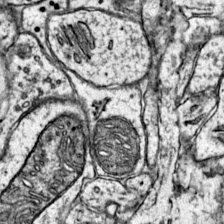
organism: Mouse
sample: Primary visual cortex